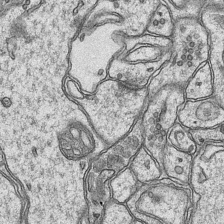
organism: Mouse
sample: CA1 Hippocampus